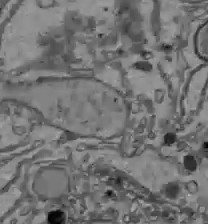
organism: C57BL Mouse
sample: Liver